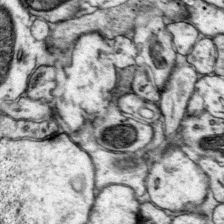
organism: Mouse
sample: Primary visual cortex